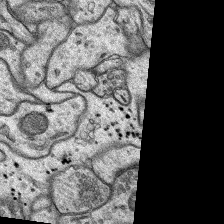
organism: Rat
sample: Hippocampus